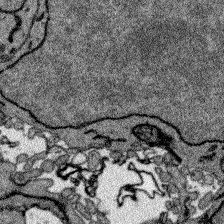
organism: Zebrafish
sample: Larval olfactory bulb